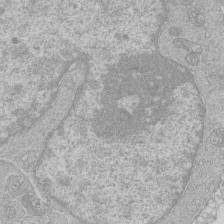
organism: Human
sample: Macrophage cells